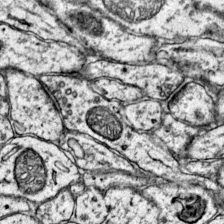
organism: Mouse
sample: Primary visual cortex